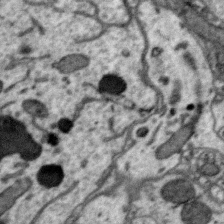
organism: Zebra finch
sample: Brain